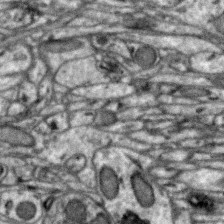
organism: Zebra finch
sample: Brain